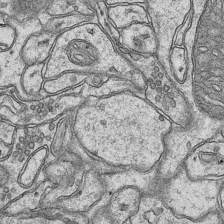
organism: Mouse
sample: CA1 Hippocampus